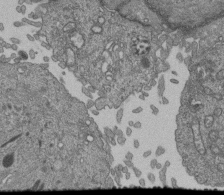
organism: Human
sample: Retinal organoid Rod and Cone cells